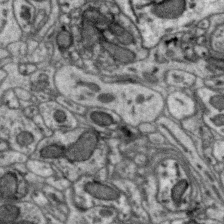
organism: Zebra finch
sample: Brain